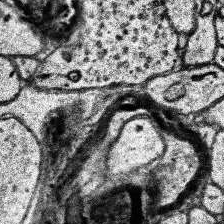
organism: Human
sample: Temporal Lobe